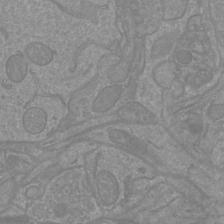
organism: Mouse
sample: Cortical neurons